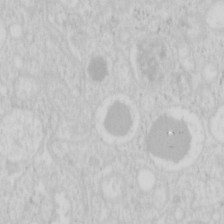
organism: Mouse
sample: Pancreas